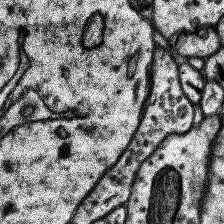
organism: Human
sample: Temporal Lobe